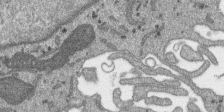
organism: Human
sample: Lung epithelial cells infected with SARS-CoV-2